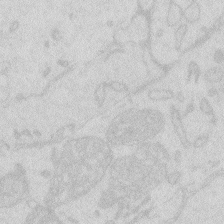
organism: Zebrafish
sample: Macrophage